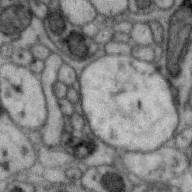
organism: Zebra finch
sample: Brain